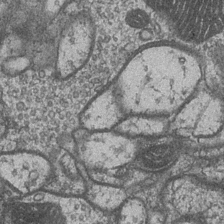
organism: Drosophila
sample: Optic medulla